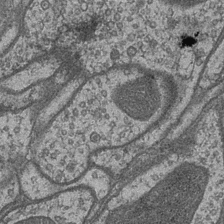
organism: Drosophila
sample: Optic medulla